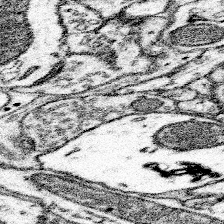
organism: Mouse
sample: Somatosensory cortex neuropil